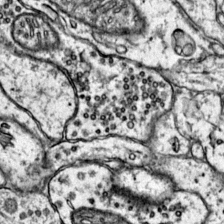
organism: Mouse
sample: Primary visual cortex